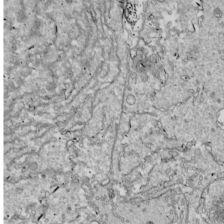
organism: Drosophila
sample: Cell division; meiosis; drosophila spermatocytes